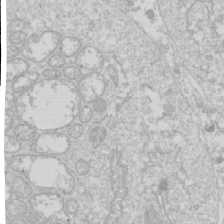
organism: Drosophila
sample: Cell division; meiosis; drosophila spermatocytes